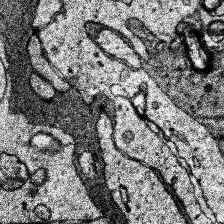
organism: Human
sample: Temporal Lobe